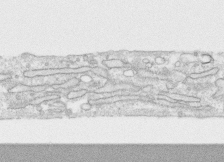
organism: Human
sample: CRL-1474